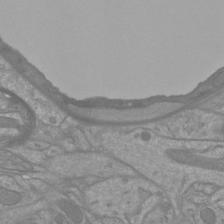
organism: Mouse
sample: Cortical neurons